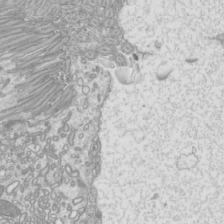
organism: Mouse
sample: Cilia; mouse epididymis